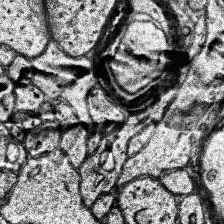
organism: Human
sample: Temporal Lobe